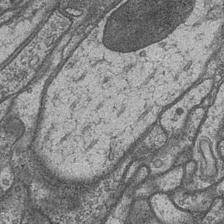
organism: Drosophila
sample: Optic medulla